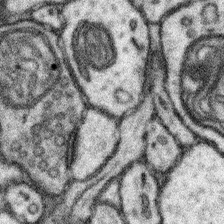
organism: Mouse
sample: Somatosensory cortex neuropil